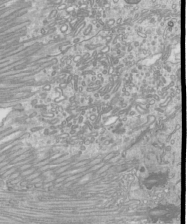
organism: Mouse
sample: Cilia; mouse epididymis